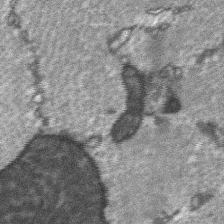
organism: C57BL Mouse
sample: Soleus